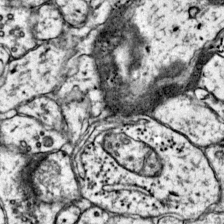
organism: Mouse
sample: Primary visual cortex